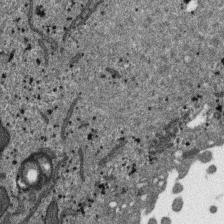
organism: Human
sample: Lung epithelial cells infected with SARS-CoV-2